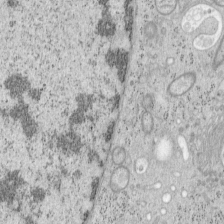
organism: Mouse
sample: OT-I killer T cells with ID8 ovarian cancer cells